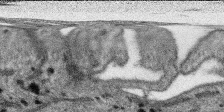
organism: Human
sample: Lung epithelial cells infected with SARS-CoV-2